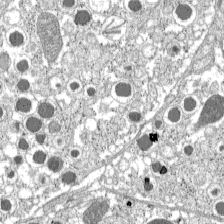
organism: C57BL Mouse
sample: Pancreatic islet